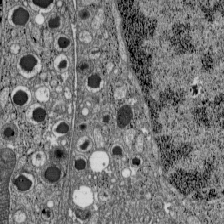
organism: C57BL Mouse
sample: Pancreatic islet